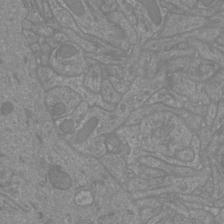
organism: Mouse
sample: Cortical neurons